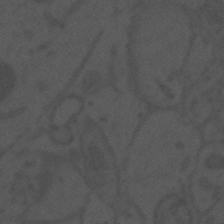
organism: Mouse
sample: Suprachiasmatic nucleus